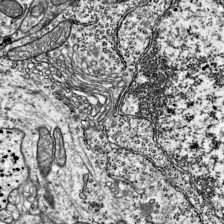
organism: Mouse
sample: Visual Cortex